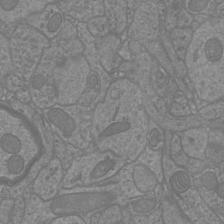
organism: Mouse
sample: Cortical neurons